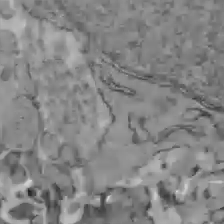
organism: C57BL Mouse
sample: Liver